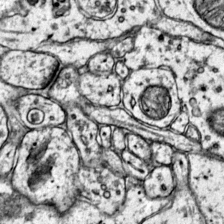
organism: Mouse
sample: Primary visual cortex